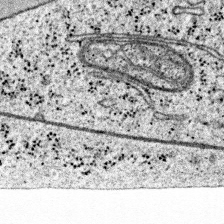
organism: Human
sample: HeLa cells